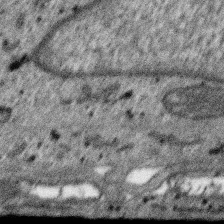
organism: Human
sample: Lung epithelial cells infected with SARS-CoV-2